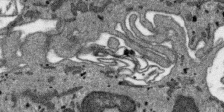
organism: Human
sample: Lung epithelial cells, uninfected (mock) control